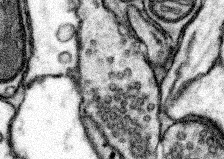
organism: Mouse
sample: Somatosensory cortex neuropil